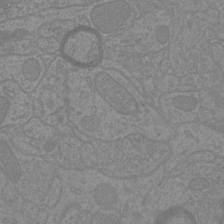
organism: Mouse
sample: Cortical neurons